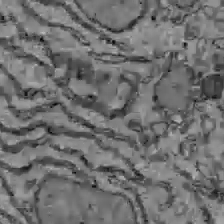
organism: C57BL Mouse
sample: Liver